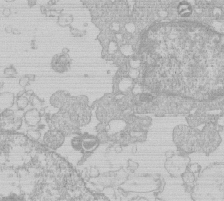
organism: Human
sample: Macrophage cells